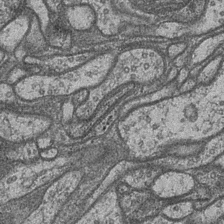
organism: Drosophila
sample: Optic medulla